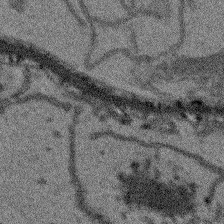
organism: Arabidopsis thaliana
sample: Root tip